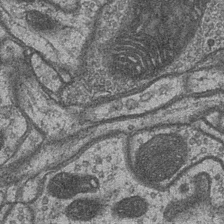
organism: Drosophila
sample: Optic medulla